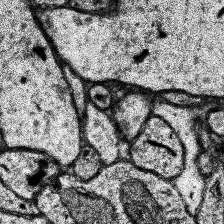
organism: Human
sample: Temporal Lobe